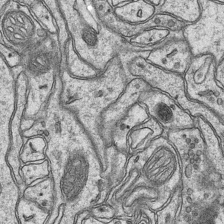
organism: Mouse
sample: CA1 Hippocampus